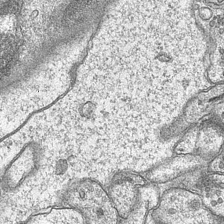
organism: Mouse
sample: CA1 Hippocampus